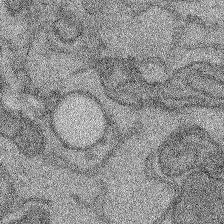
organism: Human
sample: HeLa cells